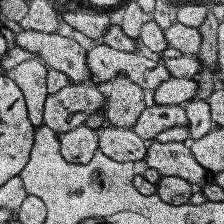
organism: Human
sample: Temporal Lobe